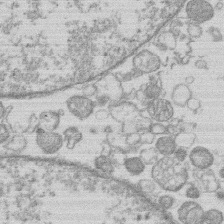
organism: Human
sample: Macrophage cells